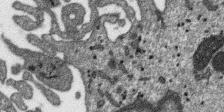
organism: Human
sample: Lung epithelial cells infected with SARS-CoV-2